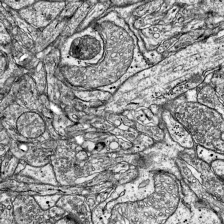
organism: Mouse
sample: Visual Cortex